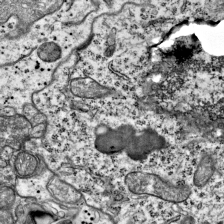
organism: Mouse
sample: Visual Cortex